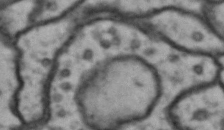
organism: Drosophila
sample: Brain